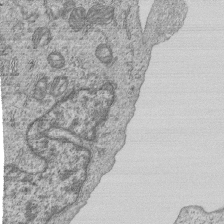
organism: Human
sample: MDA-MB-231 cells